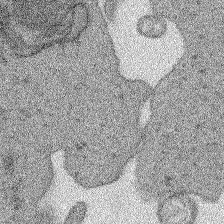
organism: Human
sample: HeLa cells